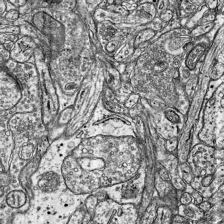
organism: Mouse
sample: Visual Cortex